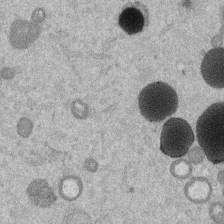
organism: Mouse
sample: Dividing mouse embryo 1 cell stage